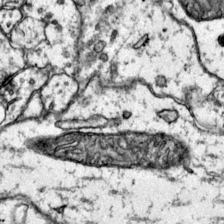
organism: Mouse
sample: Primary visual cortex